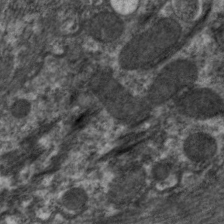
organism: C. elegans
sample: Pharynx